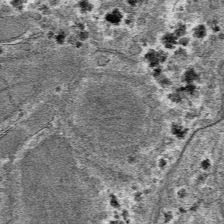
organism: Mouse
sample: Mouse hepatocytes